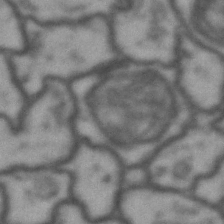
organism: Drosophila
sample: Brain